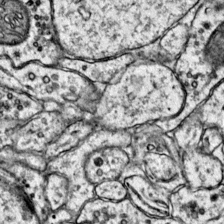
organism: Mouse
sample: Primary visual cortex